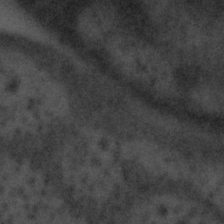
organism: Tuwongella immobilis